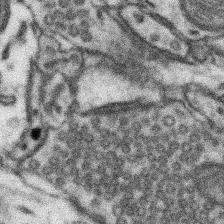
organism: Mouse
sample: Somatosensory cortex neuropil